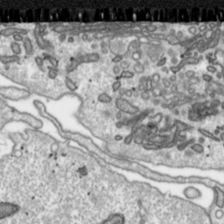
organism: Toxoplasma gondii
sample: Parasites in a vacuole inside a host cell